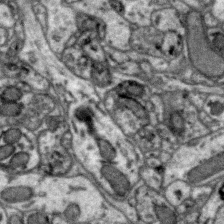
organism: Zebra finch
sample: Brain